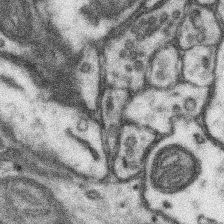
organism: Mouse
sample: Somatosensory cortex neuropil